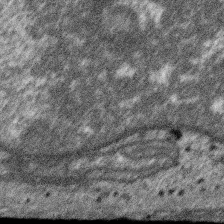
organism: Human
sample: Lung epithelial cells infected with SARS-CoV-2